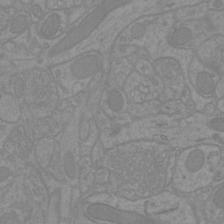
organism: Mouse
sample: Cortical neurons